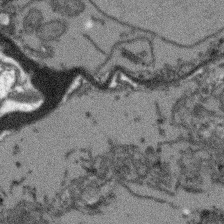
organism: Arabidopsis thaliana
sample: Root tip